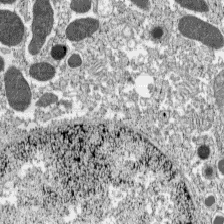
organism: C57BL Mouse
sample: Pancreatic islet